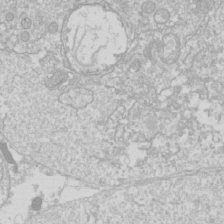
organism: Drosophila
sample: Cell division; meiosis; drosophila spermatocytes